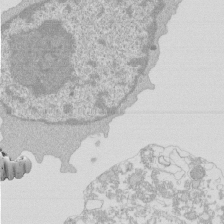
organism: Mouse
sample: Activated Pmel transgenic CD8+ T Cells